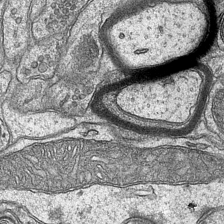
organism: Mouse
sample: CA1 Hippocampus